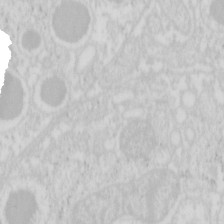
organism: Mouse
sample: Pancreas